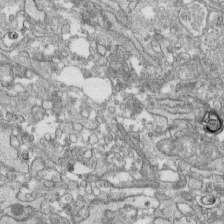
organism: Human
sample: CRL-1474